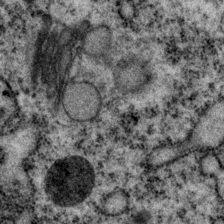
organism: P. pacificus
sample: Pharynx